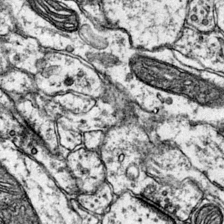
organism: Mouse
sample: Primary visual cortex